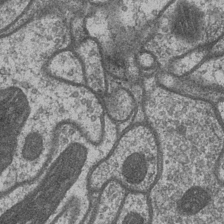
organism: Drosophila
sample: Optic medulla